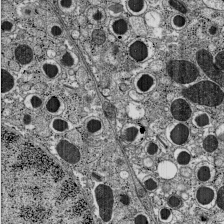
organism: C57BL Mouse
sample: Pancreatic islet